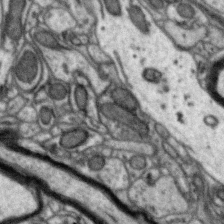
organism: Zebra finch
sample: Brain